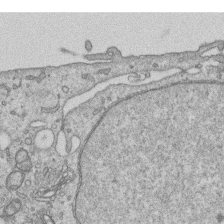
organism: Human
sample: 1205lu cells